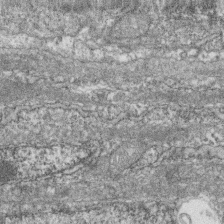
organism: Zebrafish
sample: Cilia; retinal pigment epithelium